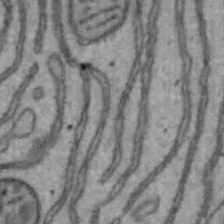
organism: Mouse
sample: Liver